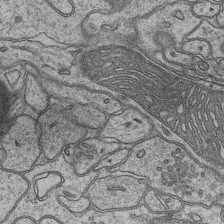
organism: Mouse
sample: CA1 Hippocampus